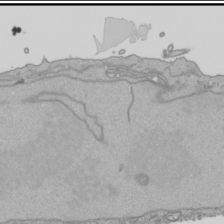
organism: Human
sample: Mitochondria in HCT116 cells